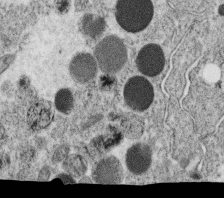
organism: C. elegans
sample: C. elegans oocyte; sperm cells